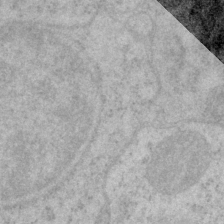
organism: P. pacificus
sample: Pharynx